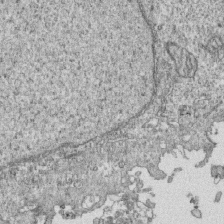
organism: Human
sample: HeLa cell HIV synapse